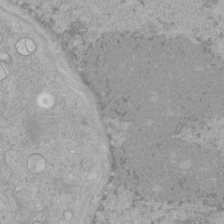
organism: Human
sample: Mitochondria in HCT116 cells